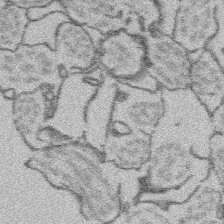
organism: Platynereis dumerilii